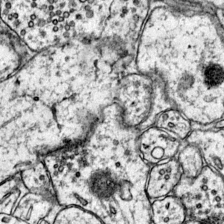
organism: Mouse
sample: Primary visual cortex